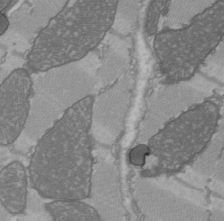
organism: C57BL Mouse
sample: Heart